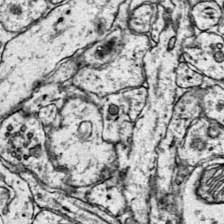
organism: Mouse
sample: Primary visual cortex